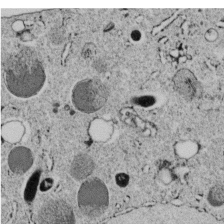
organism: C. elegans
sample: C. elegans embryo early stage